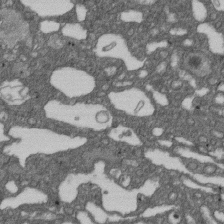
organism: Drosophila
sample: Nephrocyte